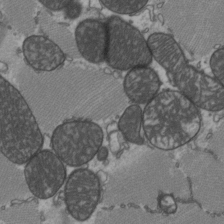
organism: C57BL Mouse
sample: Heart